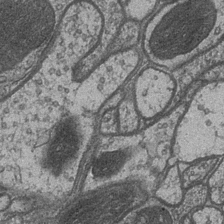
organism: Drosophila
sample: Optic medulla